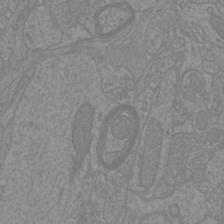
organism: Mouse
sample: Cortical neurons